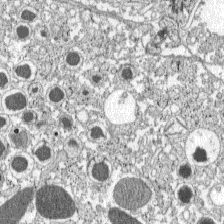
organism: C57BL Mouse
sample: Pancreatic islet